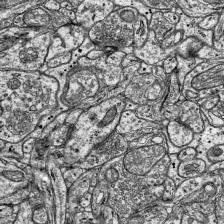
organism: Mouse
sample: Visual Cortex